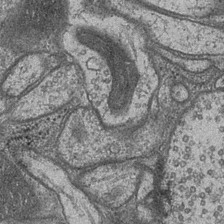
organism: Drosophila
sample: Optic medulla